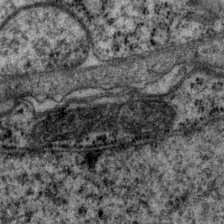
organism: P. pacificus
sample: Pharynx